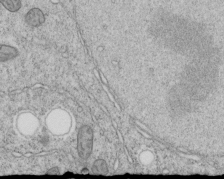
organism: C. elegans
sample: C. elegans embryo early stage